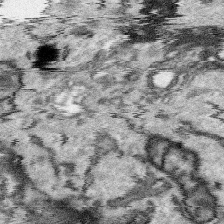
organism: Human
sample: HeLa cells